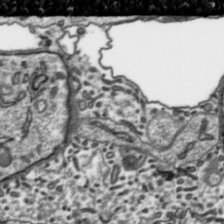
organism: Toxoplasma gondii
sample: Parasites in a vacuole inside a host cell